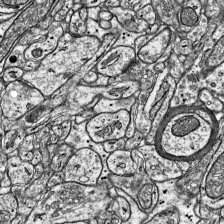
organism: Mouse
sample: Visual Cortex